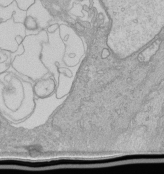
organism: Human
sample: Retinal organoid Rod and Cone cells